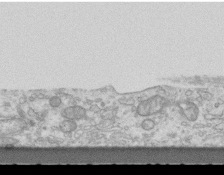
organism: Mouse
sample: Centriole in ependymal cells